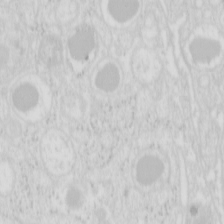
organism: Mouse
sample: Pancreas